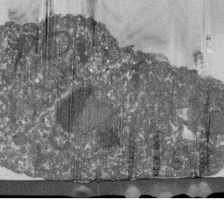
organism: Dictyostelium discoideum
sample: Dictyostelium multivesicular bodies